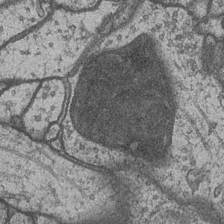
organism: Drosophila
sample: Optic medulla